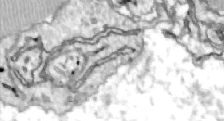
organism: Zebrafish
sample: Actinotrichia fibers